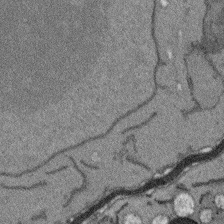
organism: Arabidopsis thaliana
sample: Root tip